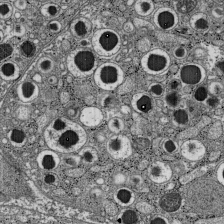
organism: C57BL Mouse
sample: Pancreatic islet